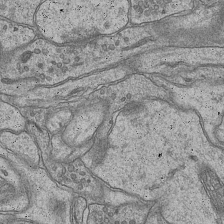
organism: Mouse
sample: CA1 Hippocampus